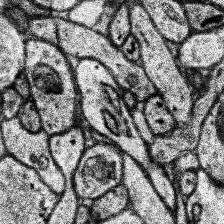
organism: Human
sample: Temporal Lobe